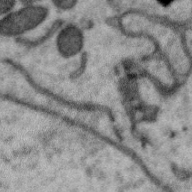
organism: Zebra finch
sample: Brain